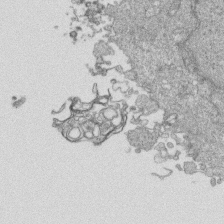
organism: Human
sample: HeLa cell HIV synapse